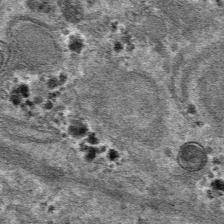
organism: Mouse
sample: Mouse hepatocytes